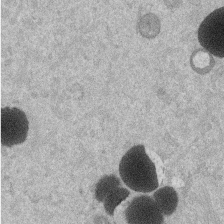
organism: Mouse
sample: Dividing mouse embryo 1 cell stage